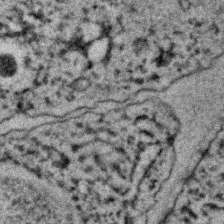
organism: C. elegans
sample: C. elegans embryo